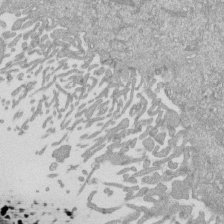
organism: Mouse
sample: ED-1 cell nuclei; centrioles